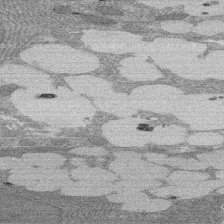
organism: Rat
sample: Salivary granule